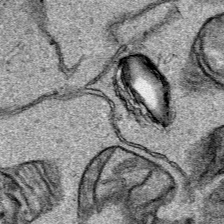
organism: Human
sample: Mitochondria in HCT116 cells